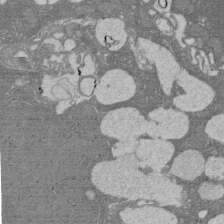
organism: Rat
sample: Salivary granule